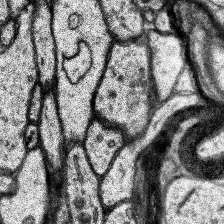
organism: Human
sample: Temporal Lobe